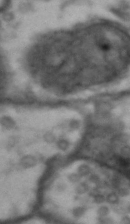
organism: Drosophila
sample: Brain